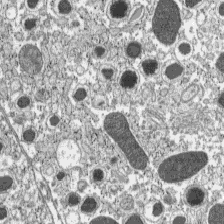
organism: C57BL Mouse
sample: Pancreatic islet